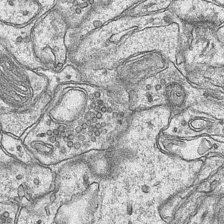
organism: Mouse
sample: CA1 Hippocampus